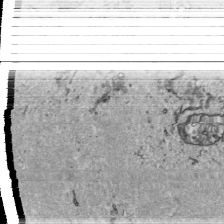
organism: Human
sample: Mitochondria in HCT116 cells